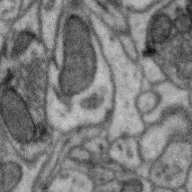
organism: Zebra finch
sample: Brain